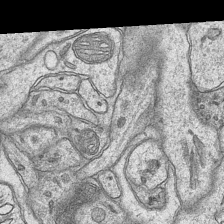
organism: Mouse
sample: CA1 Hippocampus